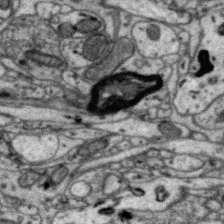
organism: Zebra finch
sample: Brain